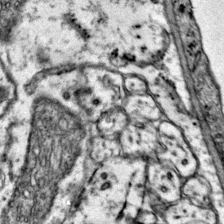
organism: Mouse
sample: Primary visual cortex